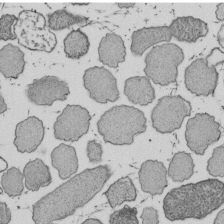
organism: E. coli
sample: Bacterial nucleoid